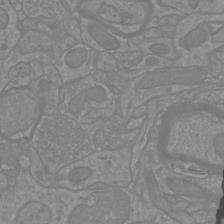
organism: Mouse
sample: Cortical neurons